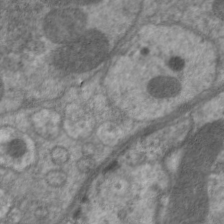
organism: C. elegans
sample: Pharynx